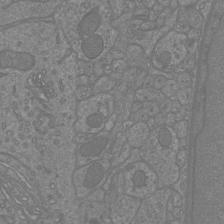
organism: Mouse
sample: Cortical neurons